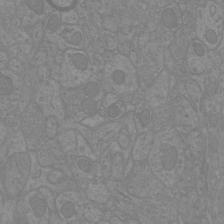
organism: Mouse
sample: Cortical neurons